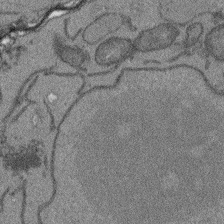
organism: Arabidopsis thaliana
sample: Root tip